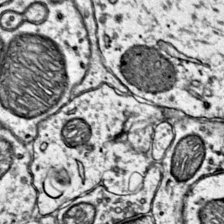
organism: Mouse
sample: Primary visual cortex